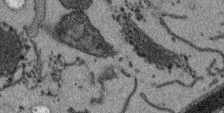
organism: Arabidopsis thaliana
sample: Root tip